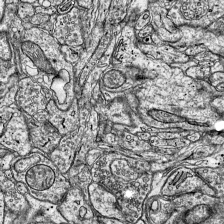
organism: Mouse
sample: Visual Cortex